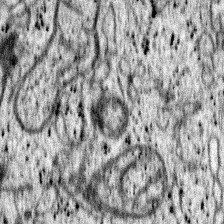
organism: Human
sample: HeLa cells